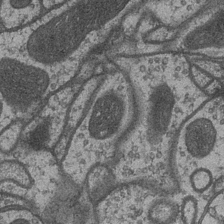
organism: Drosophila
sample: Optic medulla